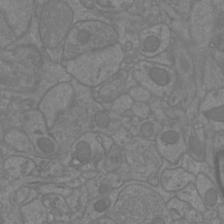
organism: Mouse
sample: Cortical neurons